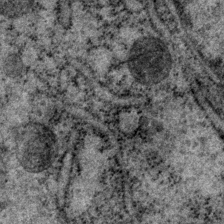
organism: P. pacificus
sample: Pharynx